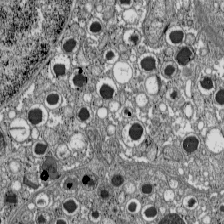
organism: C57BL Mouse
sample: Pancreatic islet